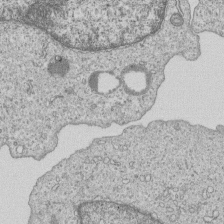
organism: Human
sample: MDA-MB-231 cells